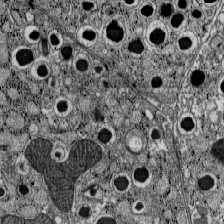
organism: C57BL Mouse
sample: Pancreatic islet